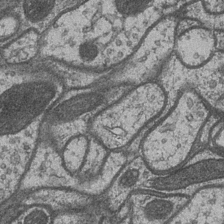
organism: Drosophila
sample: Optic medulla